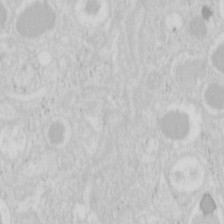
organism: Mouse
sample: Pancreas